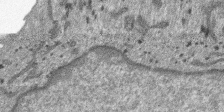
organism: Human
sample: Lung epithelial cells infected with SARS-CoV-2